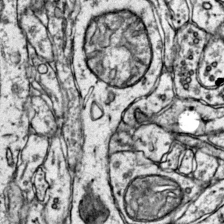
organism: Mouse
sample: Primary visual cortex